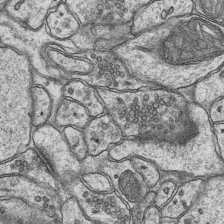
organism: Mouse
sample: CA1 Hippocampus